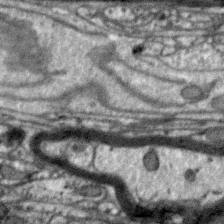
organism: Zebra finch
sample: Brain